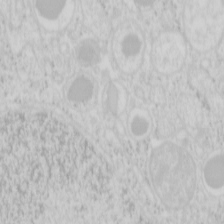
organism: Mouse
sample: Pancreas